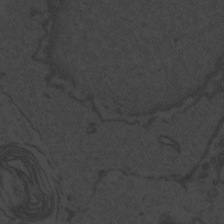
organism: Zebrafish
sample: Macrophage infected with Toxoplasma gondii